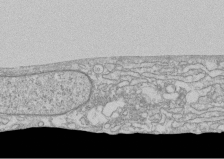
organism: Human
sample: CRL-1474